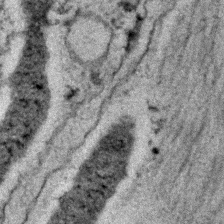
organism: C. elegans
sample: C. elegans embryo